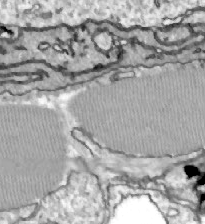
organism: Zebrafish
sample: Actinotrichia fibers